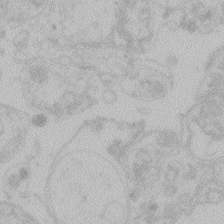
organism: Zebrafish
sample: Macrophage infected with Toxoplasma gondii